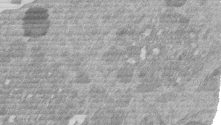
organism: Mouse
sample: Dividing mouse embryo 1 cell stage